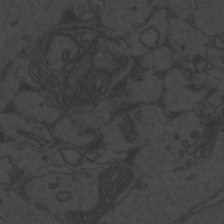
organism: Zebrafish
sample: Macrophage infected with Toxoplasma gondii